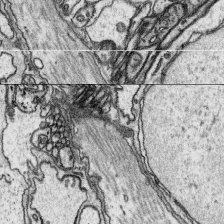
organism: Platynereis dumerilii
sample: Parapodia